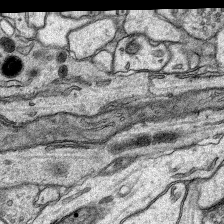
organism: Rat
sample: Hippocampus